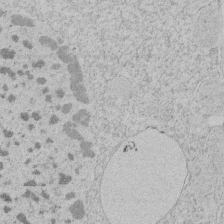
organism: Tetrahymena